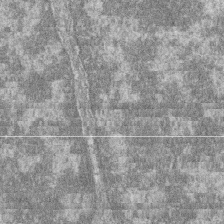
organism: Zebrafish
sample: Cilia; retinal pigment epithelium